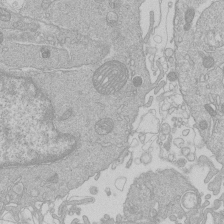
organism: Human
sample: Macrophage cells